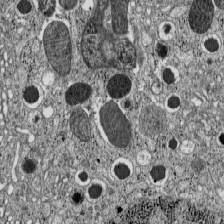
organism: C57BL Mouse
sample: Pancreatic islet